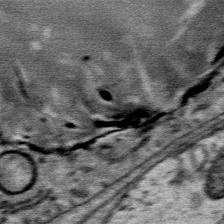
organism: Mouse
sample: Mouse Salivary gland